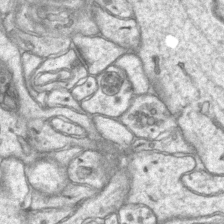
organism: Mouse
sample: CA1 Hippocampus